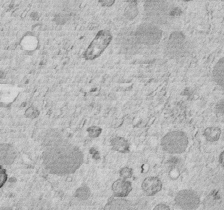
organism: C. elegans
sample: C. elegans embryo early stage